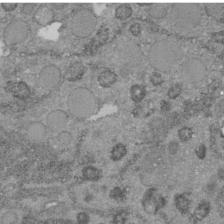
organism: C. elegans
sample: C. elegans embryo early stage